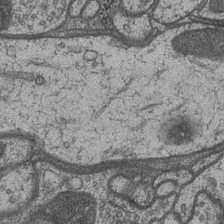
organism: Drosophila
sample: Optic medulla